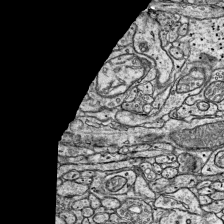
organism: Mouse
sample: Visual Cortex